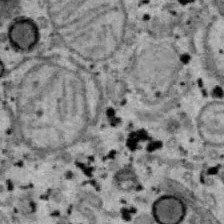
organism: Mouse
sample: Liver from an obese (ob/ob) mouse